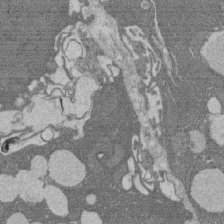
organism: Rat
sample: Salivary granule